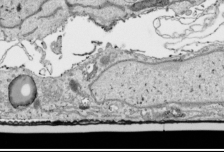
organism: Human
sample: Mitochondria in HCT116 cells